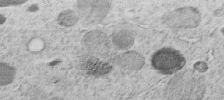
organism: C. elegans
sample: C. elegans embryo early stage